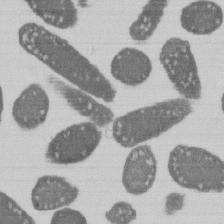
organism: E. coli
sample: Bacterial nucleoid